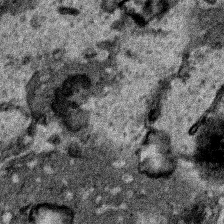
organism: Human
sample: Mitochondria in HCT116 cells